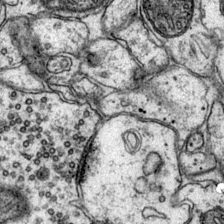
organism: Mouse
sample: Primary visual cortex